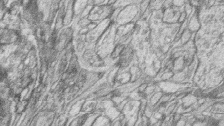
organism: Zebrafish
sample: synaptic ribbons in rod cells and cone cells